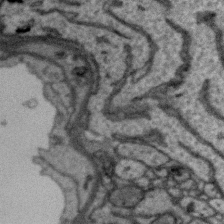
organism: Zebra finch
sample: Brain